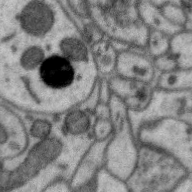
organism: Zebra finch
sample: Brain